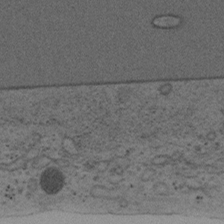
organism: Human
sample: HeLa cells